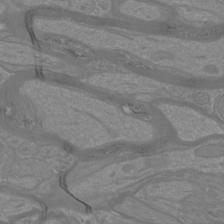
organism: Mouse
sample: Cortical neurons